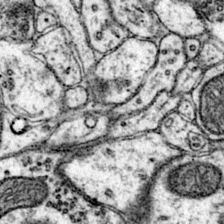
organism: Mouse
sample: Primary visual cortex